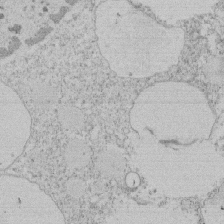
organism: Tetrahymena